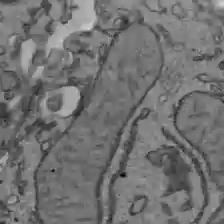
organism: C57BL Mouse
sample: Liver